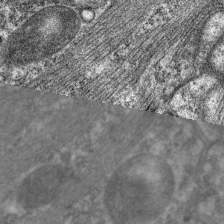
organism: C. elegans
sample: Pharynx